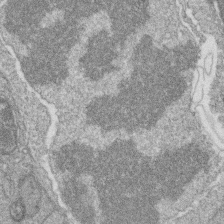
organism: Zebrafish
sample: Cilia; retinal pigment epithelium